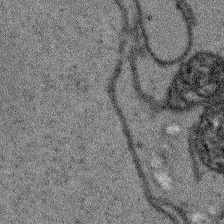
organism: Arabidopsis thaliana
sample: Root tip